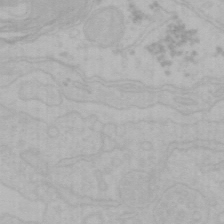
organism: Mouse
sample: Choroid plexus